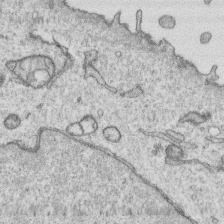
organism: Human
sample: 1205lu cells